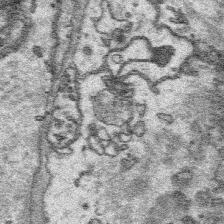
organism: Platynereis dumerilii